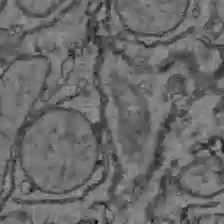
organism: C57BL Mouse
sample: Liver